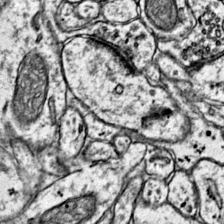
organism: Mouse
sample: Primary visual cortex